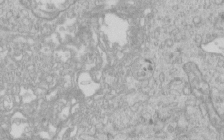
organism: Human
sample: Centriole in RPE cells